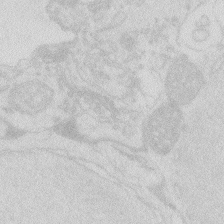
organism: Zebrafish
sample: Macrophage